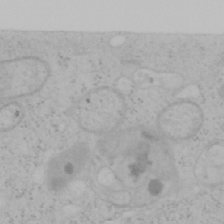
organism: Mouse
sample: OT-I killer T cells with ID8 ovarian cancer cells